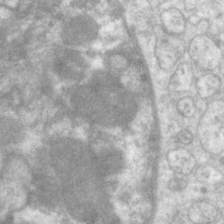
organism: C. elegans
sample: Pharynx